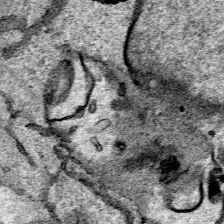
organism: Human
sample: Mitochondria in HCT116 cells